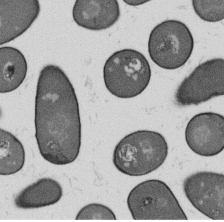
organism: B. subtilis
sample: Bacterial spore